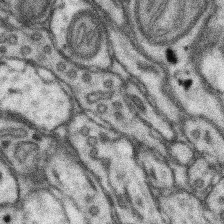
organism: Mouse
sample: Somatosensory cortex neuropil